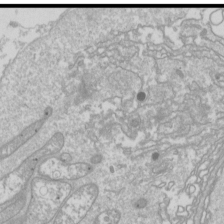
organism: Drosophila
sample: Cell division; meiosis; drosophila spermatocytes